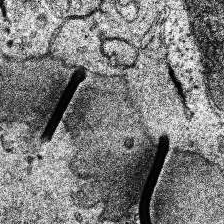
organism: Human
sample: Temporal Lobe